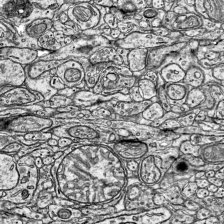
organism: Mouse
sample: Visual Cortex